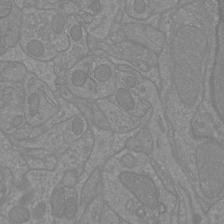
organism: Mouse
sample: Cortical neurons